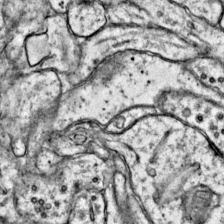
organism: Mouse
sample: Primary visual cortex